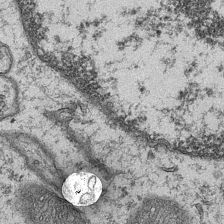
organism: Mouse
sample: CA1 Hippocampus